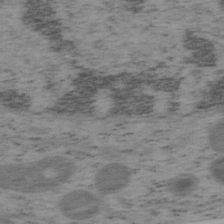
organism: Mouse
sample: OT-I killer T cells with ID8 ovarian cancer cells